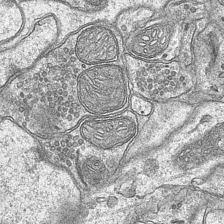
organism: Mouse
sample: CA1 Hippocampus